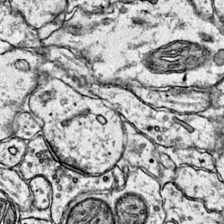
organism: Mouse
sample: Primary visual cortex